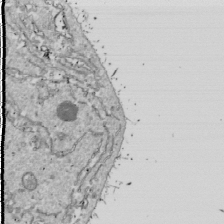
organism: Drosophila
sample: Cell division; meiosis; drosophila spermatocytes